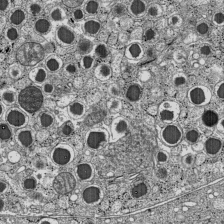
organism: C57BL Mouse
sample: Pancreatic islet